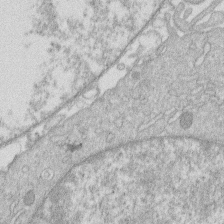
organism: Human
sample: Macrophage cells